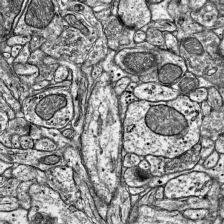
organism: Mouse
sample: Visual Cortex